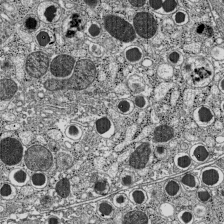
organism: C57BL Mouse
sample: Pancreatic islet